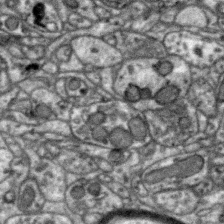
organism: Zebra finch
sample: Brain